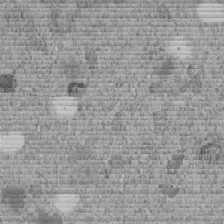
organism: C. elegans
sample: C. elegans embryo early stage